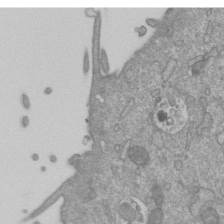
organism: Mouse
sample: ED-1 cell nuclei; centrioles